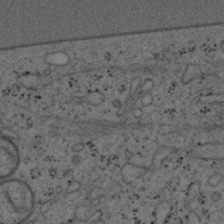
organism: Human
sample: HeLa cells